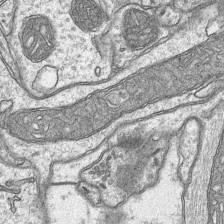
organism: Mouse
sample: CA1 Hippocampus